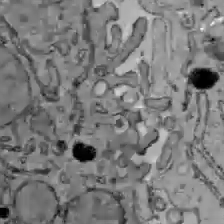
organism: C57BL Mouse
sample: Liver